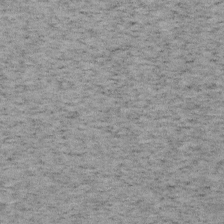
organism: Mouse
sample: OT-I killer T cells with ID8 ovarian cancer cells